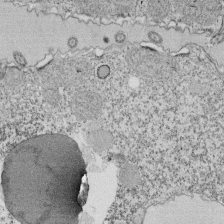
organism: Tetrahymena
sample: Cilia in tetrahymena